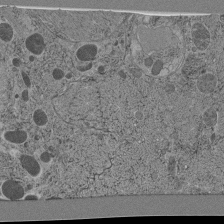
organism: C. elegans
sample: C. elegans pharynx